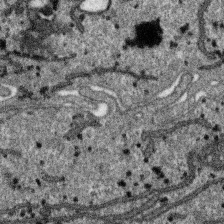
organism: Human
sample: Lung epithelial cells infected with SARS-CoV-2